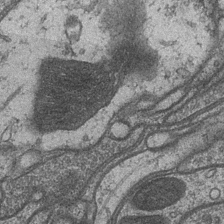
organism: Drosophila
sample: Optic medulla